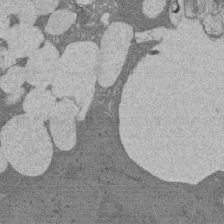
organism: Rat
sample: Salivary granule